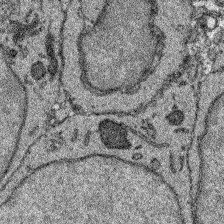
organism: Zebrafish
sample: Larval olfactory bulb